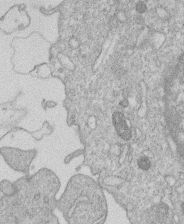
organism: Human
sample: Macrophage cells